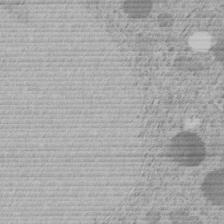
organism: C. elegans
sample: C. elegans embryo early stage